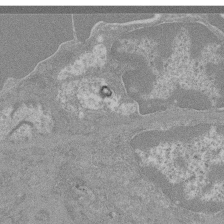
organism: Mouse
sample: Glomerulus